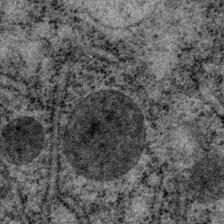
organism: P. pacificus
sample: Pharynx